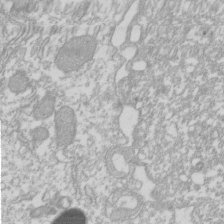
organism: Xenopus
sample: Cilia; centrioles in frog embryo cells